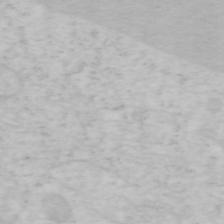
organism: Mouse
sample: OT-I killer T cells with ID8 ovarian cancer cells